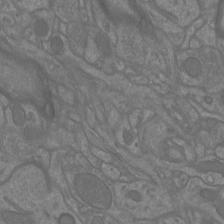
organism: Mouse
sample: Cortical neurons